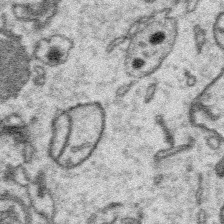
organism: Platynereis dumerilii